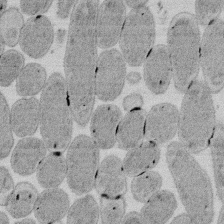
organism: E. coli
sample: Bacterial nucleoid